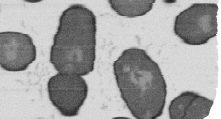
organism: B. subtilis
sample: Bacterial spore